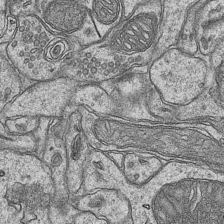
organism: Mouse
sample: CA1 Hippocampus